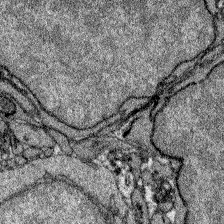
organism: Zebrafish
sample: Larval olfactory bulb